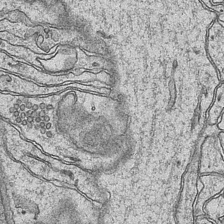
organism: Mouse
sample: CA1 Hippocampus